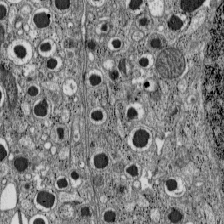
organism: C57BL Mouse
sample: Pancreatic islet